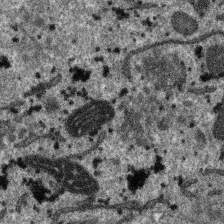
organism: Human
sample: Lung epithelial cells infected with SARS-CoV-2